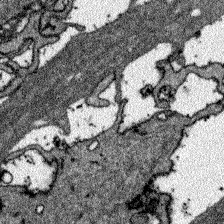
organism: Zebrafish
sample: Larval olfactory bulb